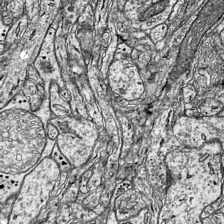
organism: Mouse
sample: Visual Cortex